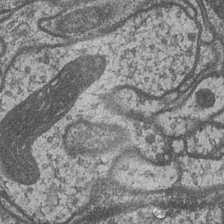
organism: Drosophila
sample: Optic medulla